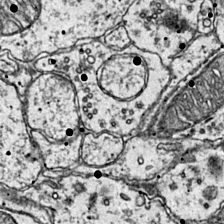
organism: Mouse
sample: Primary visual cortex